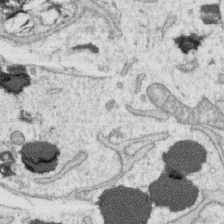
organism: Human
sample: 1205lu cells